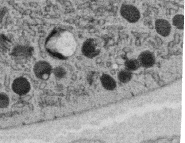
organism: C. elegans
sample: C. elegans oocyte; sperm cells